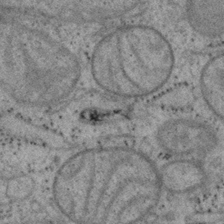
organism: Human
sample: HeLa cells